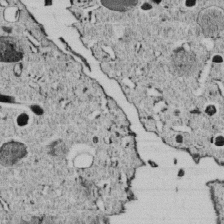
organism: C. elegans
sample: C. elegans embryo early stage